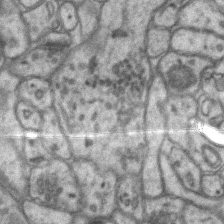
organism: Mouse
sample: CA1 Hippocampus